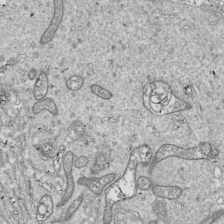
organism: Drosophila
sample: Cell division; meiosis; drosophila spermatocytes